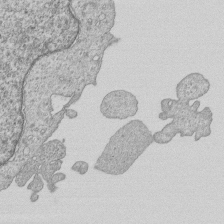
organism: Human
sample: MDA-MB-231 cells